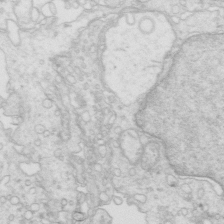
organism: Mouse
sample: Multiciliated cells